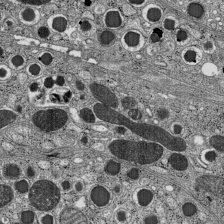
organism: C57BL Mouse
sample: Pancreatic islet